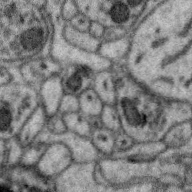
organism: Zebra finch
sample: Brain